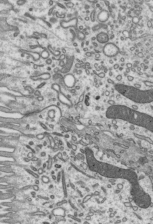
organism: Mouse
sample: Mouse epididymis efferent ductule cilia